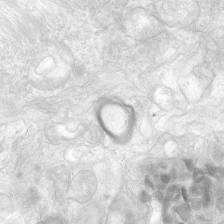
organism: Human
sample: Neocortex